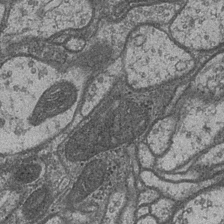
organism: Drosophila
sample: Optic medulla